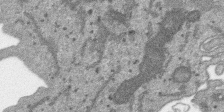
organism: Human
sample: Lung epithelial cells infected with SARS-CoV-2